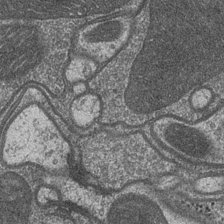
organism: Drosophila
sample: Optic medulla